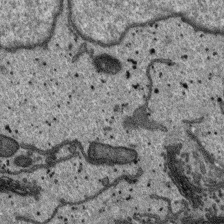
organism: Human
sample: Lung epithelial cells, uninfected (mock) control